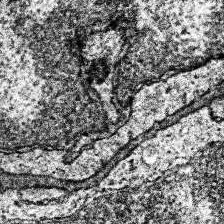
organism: Human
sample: Temporal Lobe